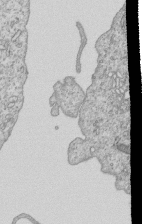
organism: Human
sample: MDA-MB-231 cells